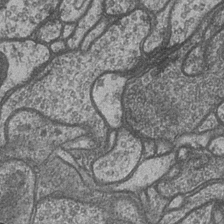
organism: Drosophila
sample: Optic medulla